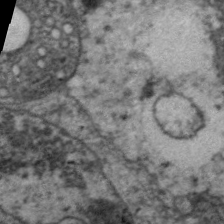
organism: C. elegans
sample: Pharynx